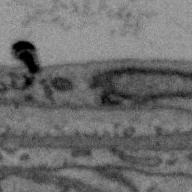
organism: Zebra finch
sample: Brain